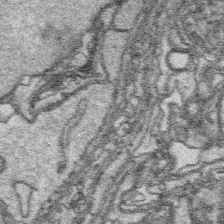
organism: Platynereis dumerilii